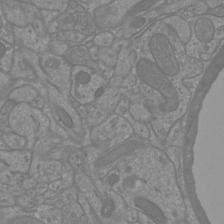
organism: Mouse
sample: Cortical neurons